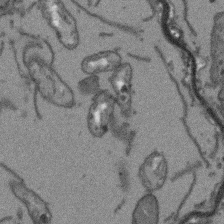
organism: Arabidopsis thaliana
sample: Root tip